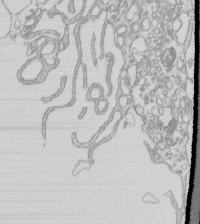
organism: Mouse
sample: Macrophages